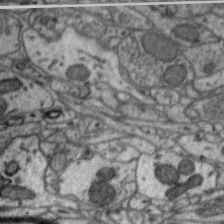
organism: Zebra finch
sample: Brain